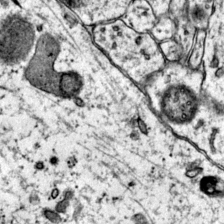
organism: Mouse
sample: Primary visual cortex